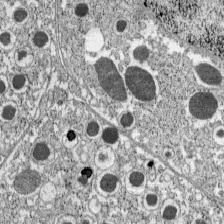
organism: C57BL Mouse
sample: Pancreatic islet